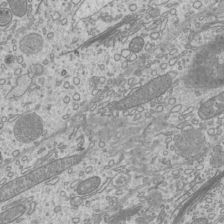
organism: Mouse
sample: Cilia; mouse epididymis